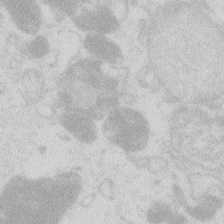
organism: Zebrafish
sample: Macrophage